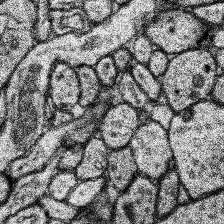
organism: Human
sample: Temporal Lobe